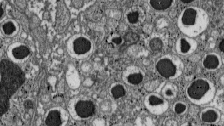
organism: C57BL Mouse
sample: Pancreatic islet